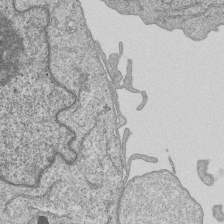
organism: Human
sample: MDA-MB-231 cells